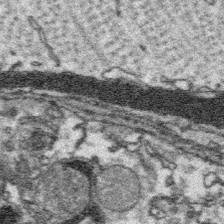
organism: Platynereis dumerilii